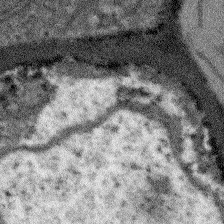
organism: Arabidopsis thaliana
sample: Root tip